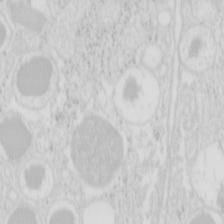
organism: Mouse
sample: Pancreas